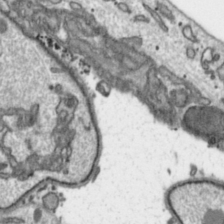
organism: Toxoplasma gondii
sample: Parasites in a vacuole inside a host cell